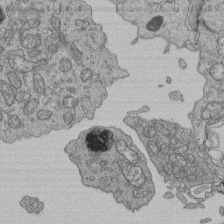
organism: Human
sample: Retinal organoid Rod and Cone cells